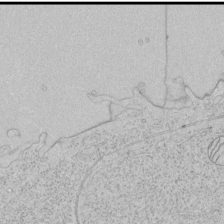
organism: Human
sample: Mitochondria in HCT116 cells